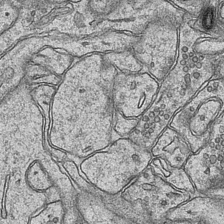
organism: Mouse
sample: CA1 Hippocampus